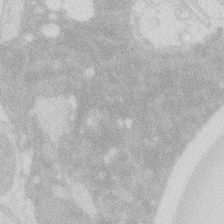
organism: Zebrafish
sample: Macrophage